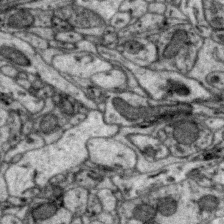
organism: Zebra finch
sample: Brain